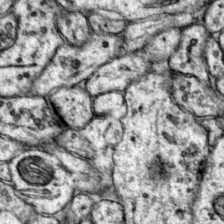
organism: Mouse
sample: Primary visual cortex